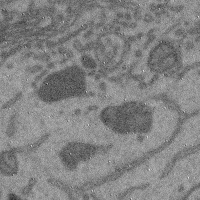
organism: Mouse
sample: Cerebral cortex